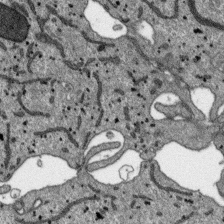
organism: Human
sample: Lung epithelial cells, uninfected (mock) control